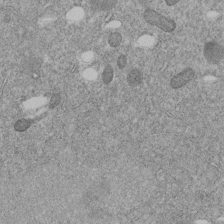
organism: C. elegans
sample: C. elegans embryo early stage